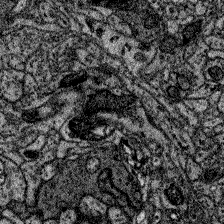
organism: Zebrafish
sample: Larval olfactory bulb